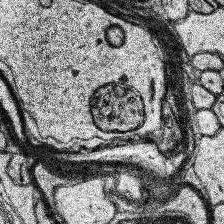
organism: Human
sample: Temporal Lobe